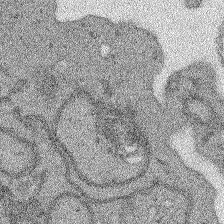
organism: Human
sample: HeLa cells